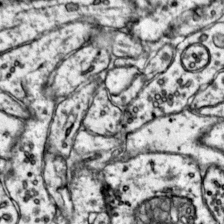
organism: Mouse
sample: Primary visual cortex